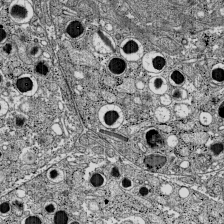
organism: C57BL Mouse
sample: Pancreatic islet